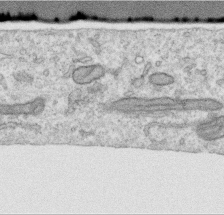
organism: Human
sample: Centriole in RPE cells